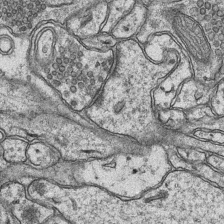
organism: Mouse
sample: CA1 Hippocampus